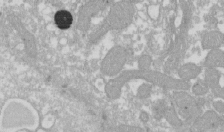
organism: Xenopus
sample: Cilia; centrioles in frog embryo cells